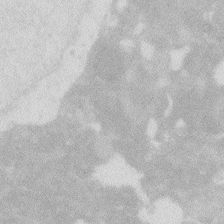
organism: Zebrafish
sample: Macrophage